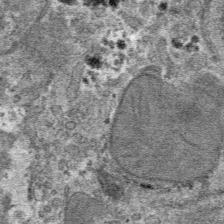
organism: Mouse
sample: Mouse hepatocytes